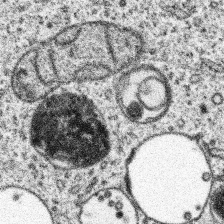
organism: Human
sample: HeLa cells